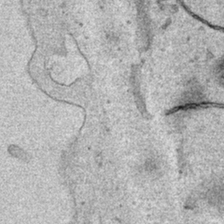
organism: Human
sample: Mitochondria in HCT116 cells